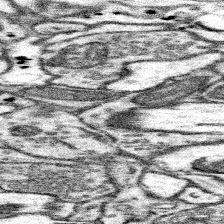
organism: Mouse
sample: Somatosensory cortex neuropil